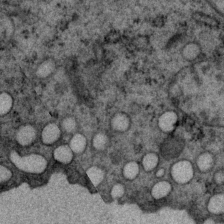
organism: P. pacificus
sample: Pharynx